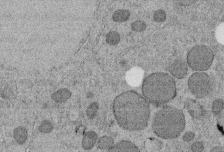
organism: C. elegans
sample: C. elegans embryo early stage